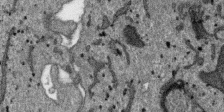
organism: Human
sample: Lung epithelial cells, uninfected (mock) control